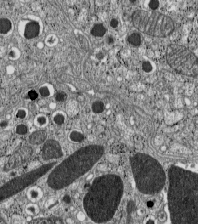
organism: C57BL Mouse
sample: Pancreatic islet